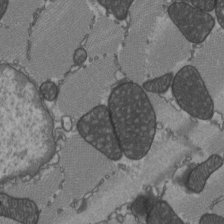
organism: C57BL Mouse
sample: Heart